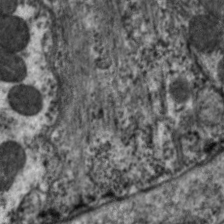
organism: C. elegans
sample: Pharynx